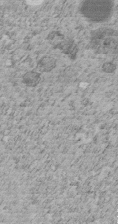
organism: C. elegans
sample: C. elegans embryo early stage